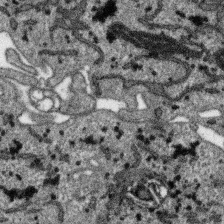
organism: Human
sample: Lung epithelial cells infected with SARS-CoV-2